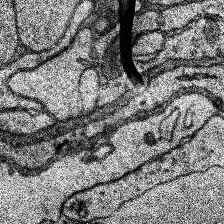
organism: Human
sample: Temporal Lobe